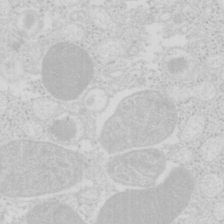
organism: Mouse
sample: Pancreas